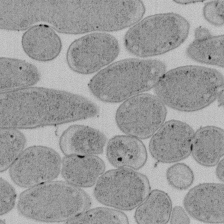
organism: E. coli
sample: Bacterial nucleoid